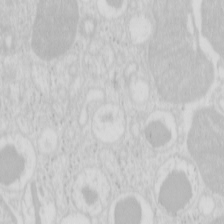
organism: Mouse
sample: Pancreas